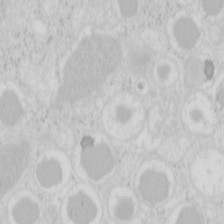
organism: Mouse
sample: Pancreas